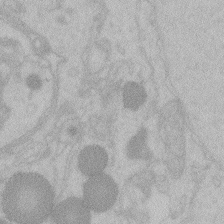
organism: Zebrafish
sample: Macrophage infected with Toxoplasma gondii